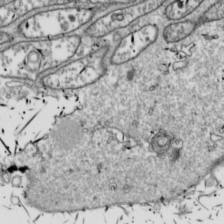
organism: Drosophila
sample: Cell division; meiosis; drosophila spermatocytes